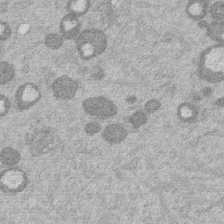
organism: Mouse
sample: Dividing mouse embryo 1 cell stage